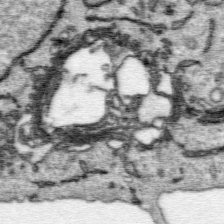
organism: Human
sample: HeLa cells